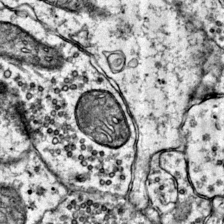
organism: Mouse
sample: Primary visual cortex